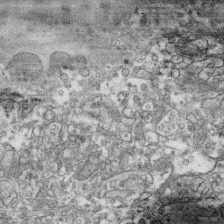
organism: Human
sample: CRL-1474